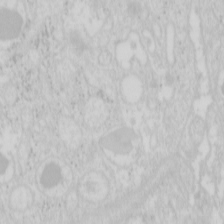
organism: Mouse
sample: Pancreas